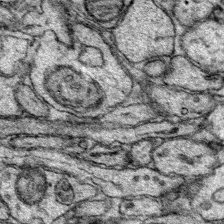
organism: Mouse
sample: Primary visual cortex